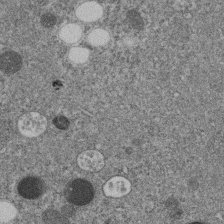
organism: C. elegans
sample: C. elegans embryo early stage